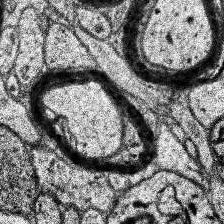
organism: Human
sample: Temporal Lobe